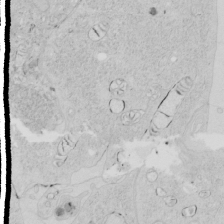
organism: Human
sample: Mitochondria in HCT116 cells